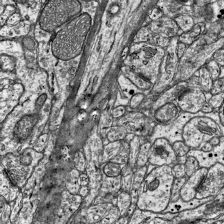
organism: Mouse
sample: Visual Cortex